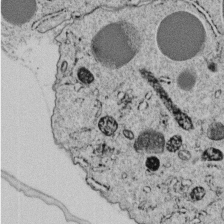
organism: C. elegans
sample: C. elegans embryo early stage